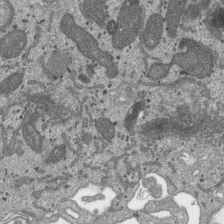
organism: Human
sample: Lung epithelial cells infected with SARS-CoV-2